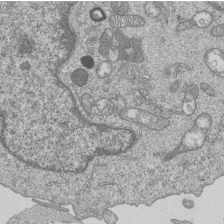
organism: Human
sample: MDA-MB-231 cells